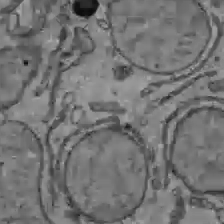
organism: C57BL Mouse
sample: Liver